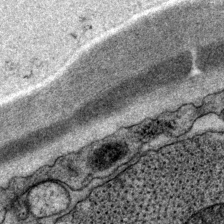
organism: P. pacificus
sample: Pharynx